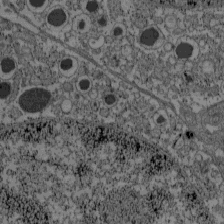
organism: C57BL Mouse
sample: Pancreatic islet